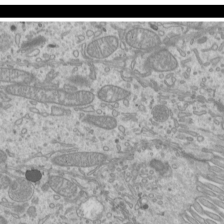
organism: Mouse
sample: Cilia; mouse epididymis